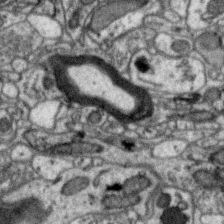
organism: Zebra finch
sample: Brain